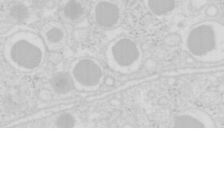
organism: Mouse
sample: Pancreas